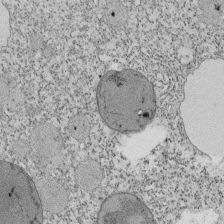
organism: Tetrahymena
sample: Cilia in tetrahymena